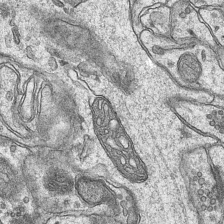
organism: Mouse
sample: CA1 Hippocampus